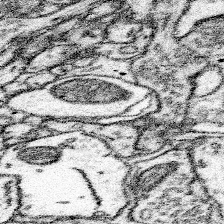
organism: Mouse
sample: Somatosensory cortex neuropil